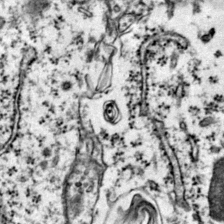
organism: Mouse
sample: Primary visual cortex